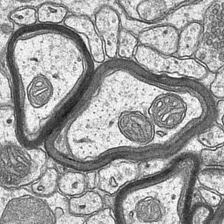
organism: Mouse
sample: CA1 Hippocampus